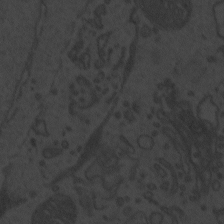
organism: Zebrafish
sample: Macrophage infected with Toxoplasma gondii